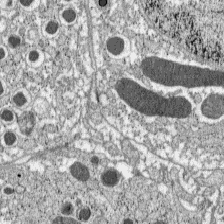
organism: C57BL Mouse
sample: Pancreatic islet